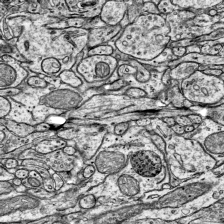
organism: Mouse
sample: Visual Cortex